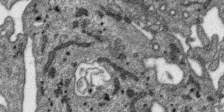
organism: Human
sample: Lung epithelial cells infected with SARS-CoV-2